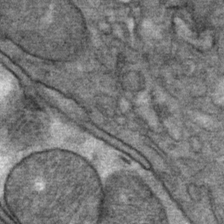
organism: Mouse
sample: Mouse Salivary gland